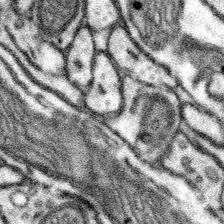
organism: Mouse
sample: Somatosensory cortex neuropil